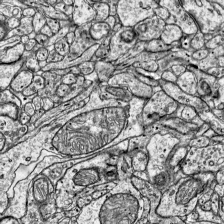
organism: Mouse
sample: Visual Cortex